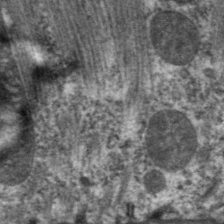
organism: C. elegans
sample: Pharynx